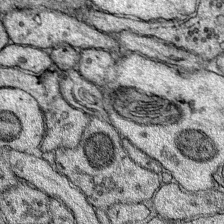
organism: Mouse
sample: Primary visual cortex